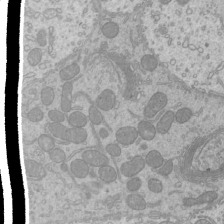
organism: Mouse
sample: Cilia; mouse epididymis